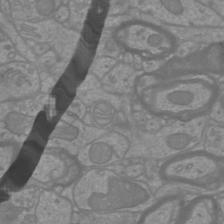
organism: Mouse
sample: Cortical neurons